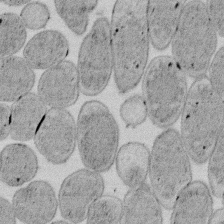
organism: E. coli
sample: Bacterial nucleoid